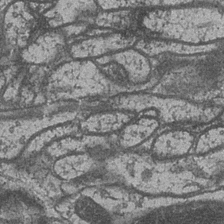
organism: Drosophila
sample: Optic medulla